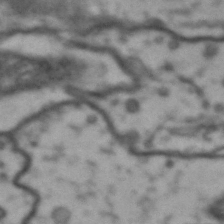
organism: Drosophila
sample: Brain